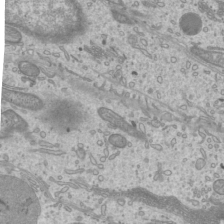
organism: Mouse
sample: Cilia; mouse epididymis